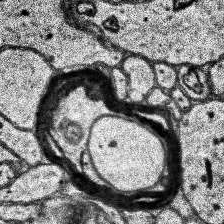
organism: Human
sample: Temporal Lobe